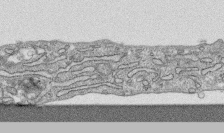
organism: Human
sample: CRL-1474